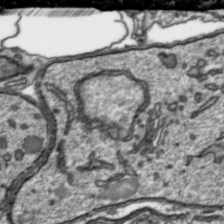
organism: Toxoplasma gondii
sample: Parasites in a vacuole inside a host cell